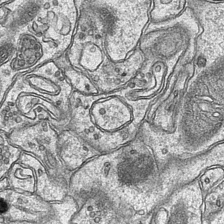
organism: Mouse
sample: CA1 Hippocampus